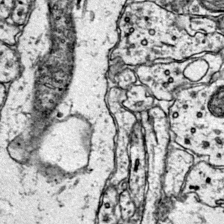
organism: Mouse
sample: Primary visual cortex